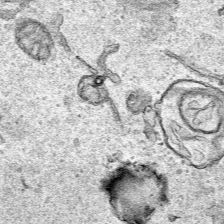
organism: Human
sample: Mitochondria in HCT116 cells